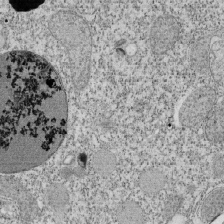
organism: Tetrahymena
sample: Cilia in tetrahymena